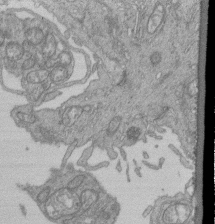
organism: Human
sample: Retinal organoid Rod and Cone cells